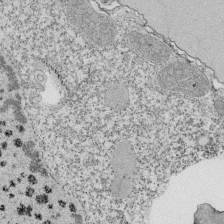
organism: Tetrahymena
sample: Cilia in tetrahymena